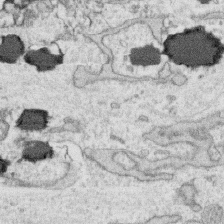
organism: Human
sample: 1205lu cells